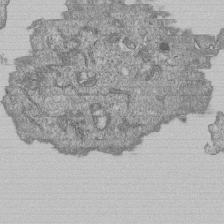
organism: Human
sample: MDA-MB-231 cells